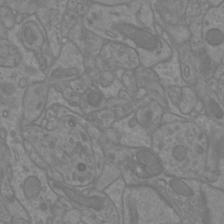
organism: Mouse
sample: Cortical neurons